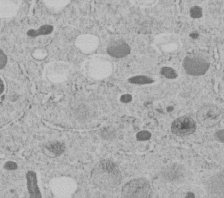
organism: C. elegans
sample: C. elegans embryo early stage